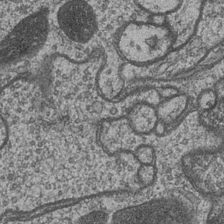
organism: Drosophila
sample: Optic medulla